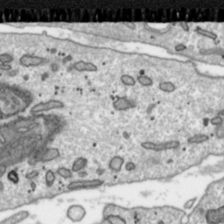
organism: Toxoplasma gondii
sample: Parasites in a vacuole inside a host cell